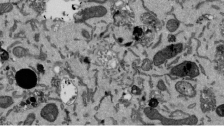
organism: Mouse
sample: ED-1 cell nuclei; centrioles